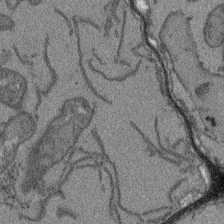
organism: Arabidopsis thaliana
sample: Root tip